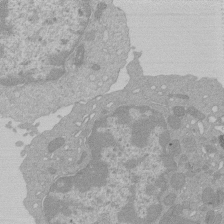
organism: Mouse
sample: Activated Pmel transgenic CD8+ T Cells